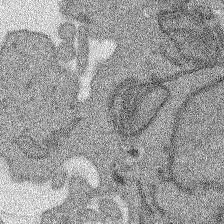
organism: Human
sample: HeLa cells